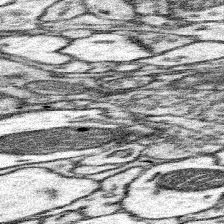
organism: Mouse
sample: Somatosensory cortex neuropil